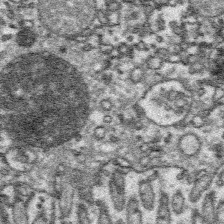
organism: Platynereis dumerilii